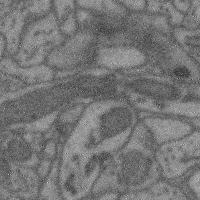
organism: Mouse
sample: Cerebral cortex